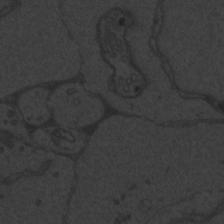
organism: Zebrafish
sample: Macrophage infected with Toxoplasma gondii